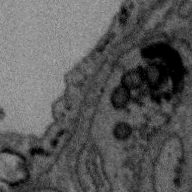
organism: Zebra finch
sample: Brain